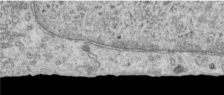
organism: Human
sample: Centriole in RPE cells